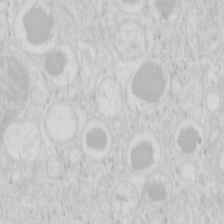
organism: Mouse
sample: Pancreas